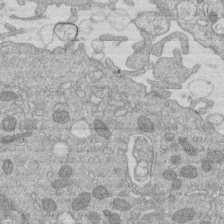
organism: Human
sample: Macrophage cells